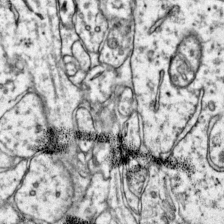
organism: Mouse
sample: Primary visual cortex